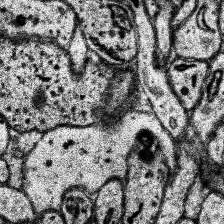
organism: Human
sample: Temporal Lobe